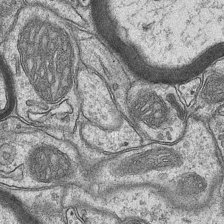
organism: Mouse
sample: CA1 Hippocampus